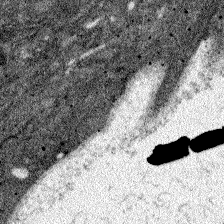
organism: Zebrafish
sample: Larval olfactory bulb